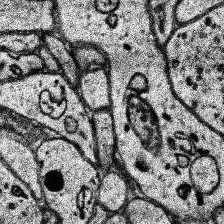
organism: Human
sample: Temporal Lobe